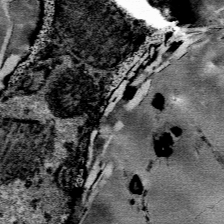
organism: Mouse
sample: Mouse Salivary gland